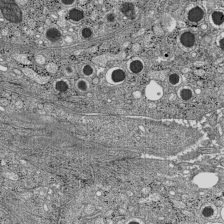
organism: C57BL Mouse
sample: Pancreatic islet